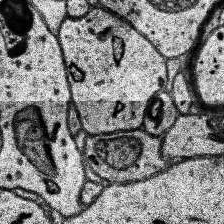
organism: Human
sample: Temporal Lobe